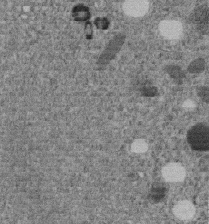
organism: C. elegans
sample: C. elegans embryo early stage